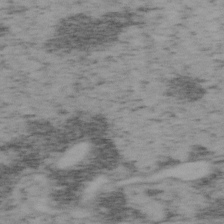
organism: Mouse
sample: OT-I killer T cells with ID8 ovarian cancer cells